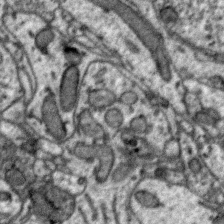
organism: Zebra finch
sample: Brain